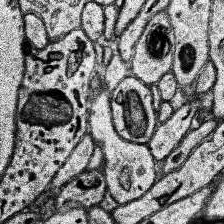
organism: Human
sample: Temporal Lobe